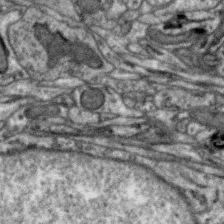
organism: Zebra finch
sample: Brain